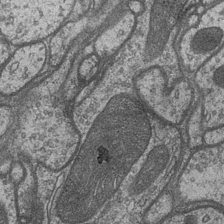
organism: Drosophila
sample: Optic medulla